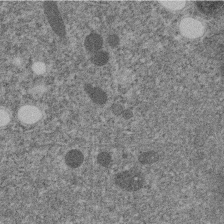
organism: C. elegans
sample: C. elegans embryo early stage